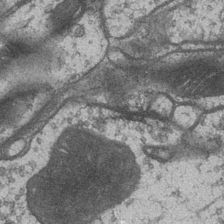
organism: Drosophila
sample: Optic medulla